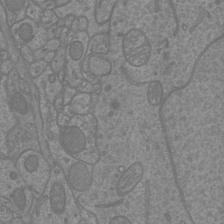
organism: Mouse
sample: Cortical neurons